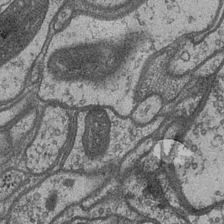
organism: Drosophila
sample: Optic medulla